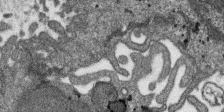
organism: Human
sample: Lung epithelial cells infected with SARS-CoV-2